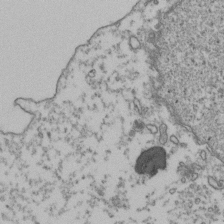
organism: Human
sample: Activated Jurkat CD4+ T cells